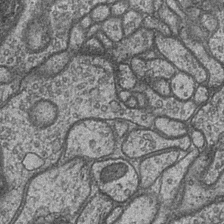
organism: Drosophila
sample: Optic medulla